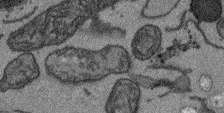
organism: Arabidopsis thaliana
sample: Root tip